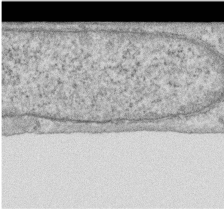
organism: Human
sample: Centriole in RPE cells